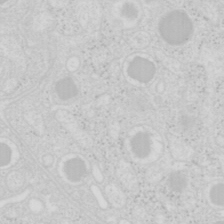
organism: Mouse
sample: Pancreas